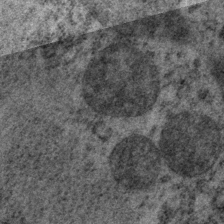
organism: P. pacificus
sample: Pharynx